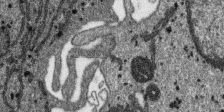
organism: Human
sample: Lung epithelial cells infected with SARS-CoV-2